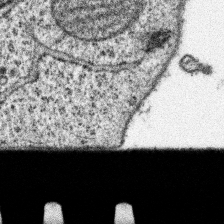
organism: Human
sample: HeLa cells